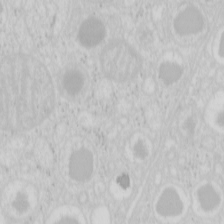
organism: Mouse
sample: Pancreas